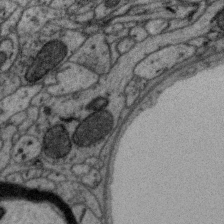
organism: Zebra finch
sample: Brain